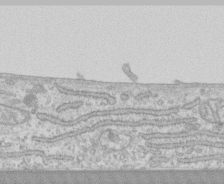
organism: Human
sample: CRL-1474